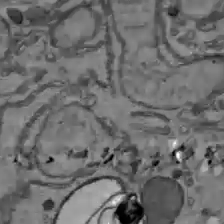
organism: C57BL Mouse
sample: Liver